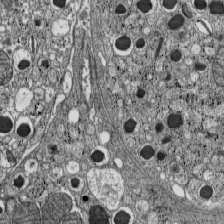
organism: C57BL Mouse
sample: Pancreatic islet